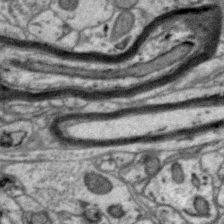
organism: Zebra finch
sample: Brain